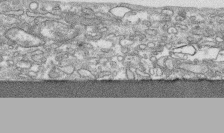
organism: Human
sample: CRL-1474